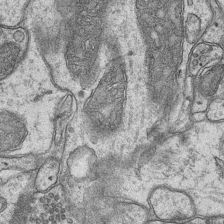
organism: Mouse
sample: CA1 Hippocampus